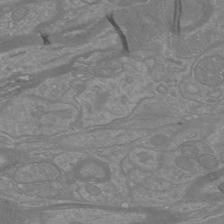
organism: Mouse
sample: Cortical neurons